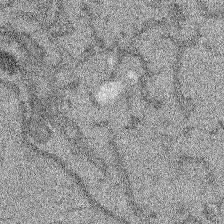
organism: Human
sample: HeLa cells